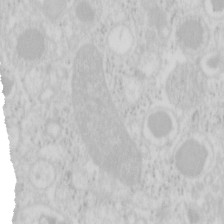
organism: Mouse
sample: Pancreas